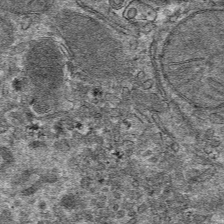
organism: Mouse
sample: Mouse hepatocytes